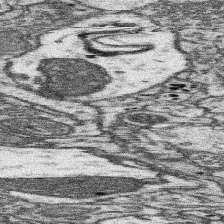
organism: Mouse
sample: Somatosensory cortex neuropil